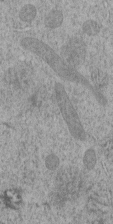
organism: C. elegans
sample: C. elegans embryo early stage